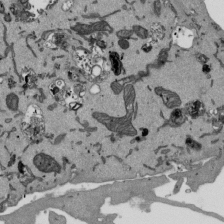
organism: Mouse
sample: ED-1 cell nuclei; centrioles